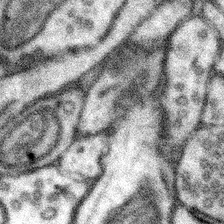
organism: Mouse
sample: Somatosensory cortex neuropil